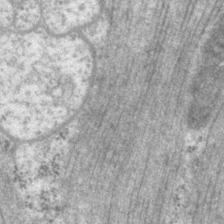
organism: P. pacificus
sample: Pharynx